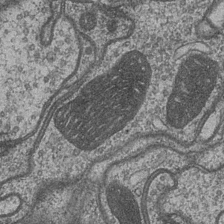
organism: Drosophila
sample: Optic medulla